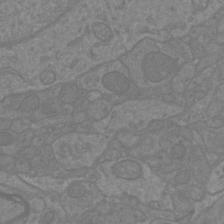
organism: Mouse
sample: Cortical neurons